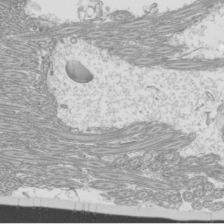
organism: Mouse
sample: Cilia; mouse epididymis